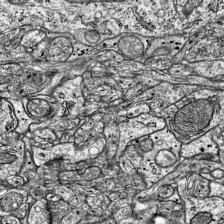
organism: Mouse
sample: Visual Cortex